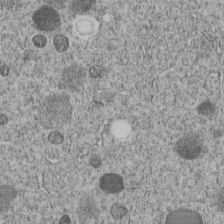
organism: C. elegans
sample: C. elegans embryo early stage